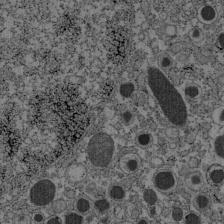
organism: C57BL Mouse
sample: Pancreatic islet